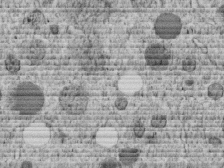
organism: C. elegans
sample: C. elegans embryo early stage